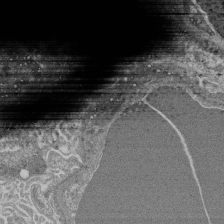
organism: Mouse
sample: Glomerulus